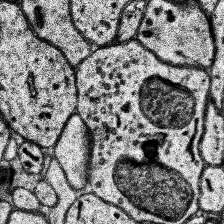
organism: Human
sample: Temporal Lobe